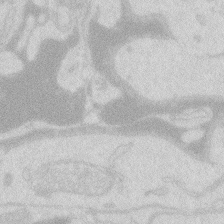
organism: Zebrafish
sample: Macrophage